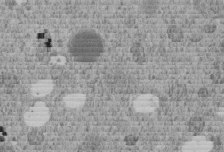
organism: C. elegans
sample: C. elegans embryo early stage